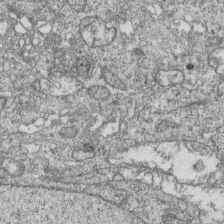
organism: Human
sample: HeLa cell HIV synapse